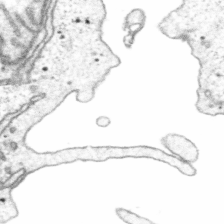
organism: Human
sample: HeLa cells